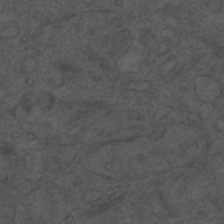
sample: Trachea